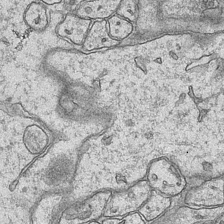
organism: Mouse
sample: CA1 Hippocampus